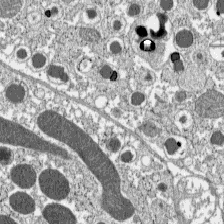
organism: C57BL Mouse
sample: Pancreatic islet